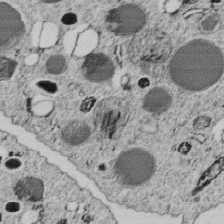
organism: C. elegans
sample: C. elegans embryo early stage